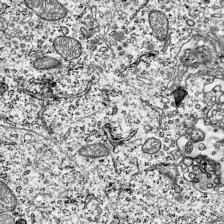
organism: Mouse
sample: Visual Cortex